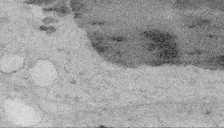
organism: Embia sp.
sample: Silk gland